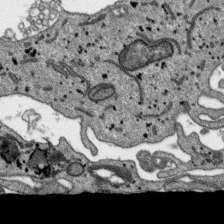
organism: Human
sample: Lung epithelial cells, uninfected (mock) control